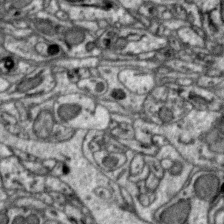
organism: Zebra finch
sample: Brain